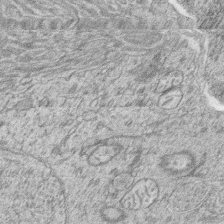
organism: Zebrafish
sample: synaptic ribbons in rod cells and cone cells